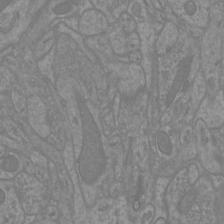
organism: Mouse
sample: Cortical neurons